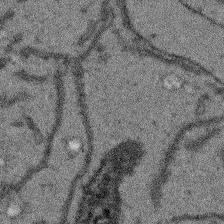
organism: Arabidopsis thaliana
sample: Root tip